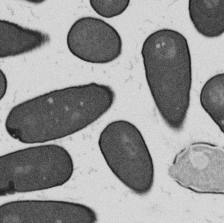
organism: B. subtilis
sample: Bacterial spore